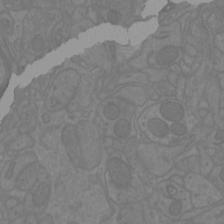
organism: Mouse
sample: Cortical neurons